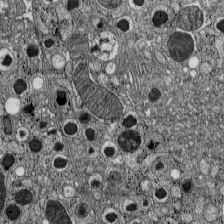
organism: C57BL Mouse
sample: Pancreatic islet